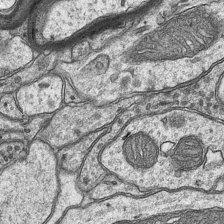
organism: Mouse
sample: CA1 Hippocampus